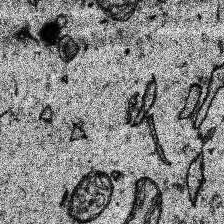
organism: Human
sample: Temporal Lobe